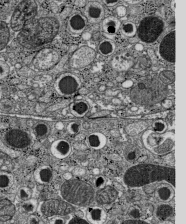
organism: C57BL Mouse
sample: Pancreatic islet